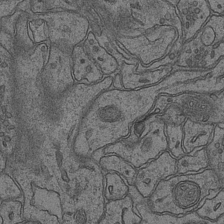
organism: Mouse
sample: CA1 Hippocampus